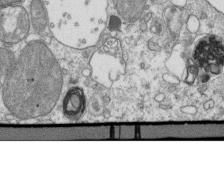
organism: Mouse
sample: Activated OT-1 CD8+ T cells